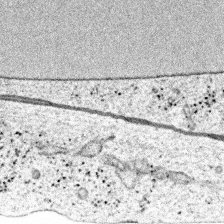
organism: Human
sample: HeLa cells